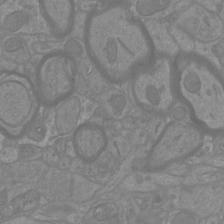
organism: Mouse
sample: Cortical neurons